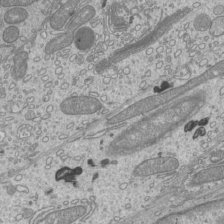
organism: Mouse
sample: Cilia; mouse epididymis